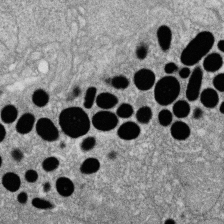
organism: Zebrafish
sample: Cilia; retinal pigment epithelium